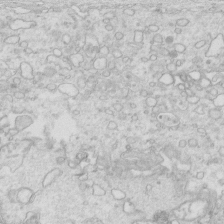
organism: Mouse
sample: Multiciliated cells